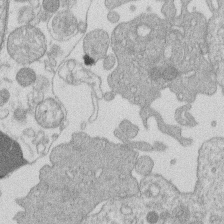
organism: Human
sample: Macrophage cells